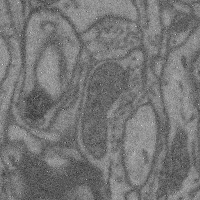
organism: Mouse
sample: Cerebral cortex